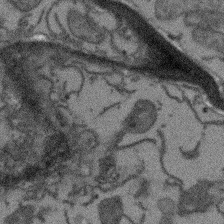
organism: Arabidopsis thaliana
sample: Root tip